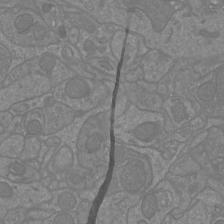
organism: Mouse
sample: Cortical neurons